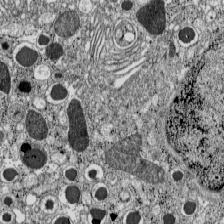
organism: C57BL Mouse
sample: Pancreatic islet